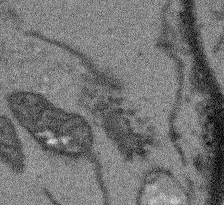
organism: Arabidopsis thaliana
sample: Root tip